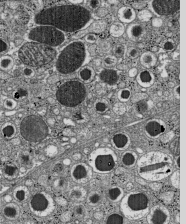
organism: C57BL Mouse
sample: Pancreatic islet